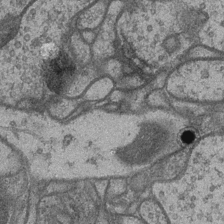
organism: Drosophila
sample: Optic medulla